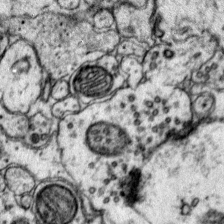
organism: Mouse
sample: Primary visual cortex